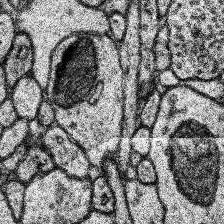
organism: Human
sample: Temporal Lobe